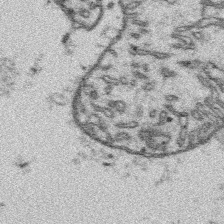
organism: Platynereis dumerilii